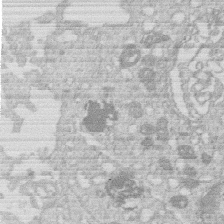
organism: Human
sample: Macrophage cells